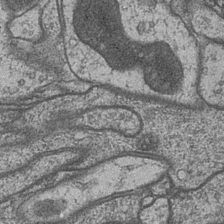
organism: Drosophila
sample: Optic medulla